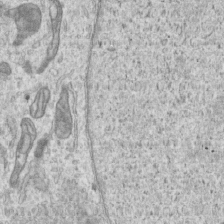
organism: Human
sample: Centriole in RPE cells